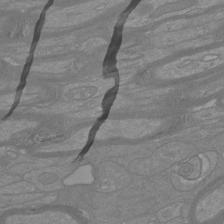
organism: Mouse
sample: Cortical neurons